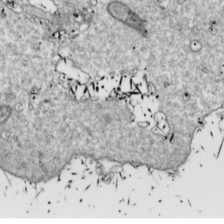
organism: Drosophila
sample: Cell division; meiosis; drosophila spermatocytes